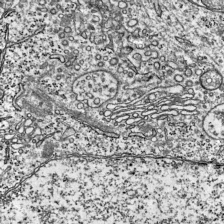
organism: Mouse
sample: Visual Cortex